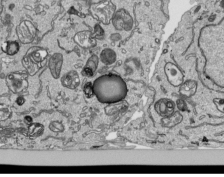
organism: Human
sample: Mitochondria in HCT116 cells